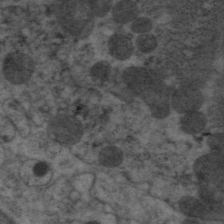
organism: C. elegans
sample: Pharynx